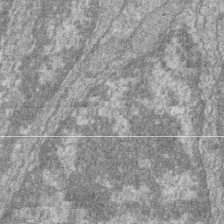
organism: Zebrafish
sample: Cilia; retinal pigment epithelium